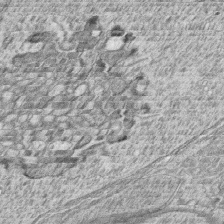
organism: Zebrafish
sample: synaptic ribbons in rod cells and cone cells